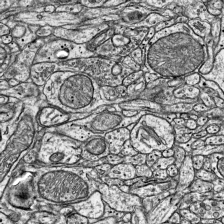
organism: Mouse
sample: Visual Cortex